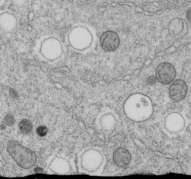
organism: C. elegans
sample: C. elegans embryo early stage